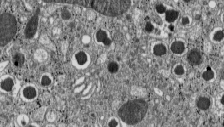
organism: C57BL Mouse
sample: Pancreatic islet